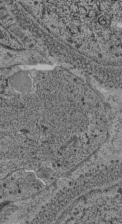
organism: C. elegans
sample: C. elegans pharynx